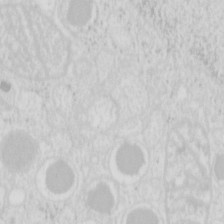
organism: Mouse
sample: Pancreas